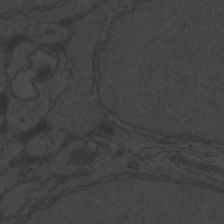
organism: Zebrafish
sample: Macrophage infected with Toxoplasma gondii